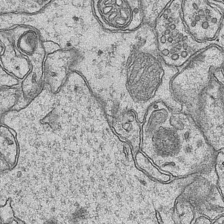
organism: Mouse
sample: CA1 Hippocampus